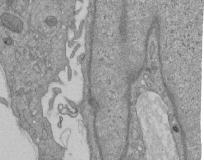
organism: Mouse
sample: ED-1 cell nuclei; centrioles